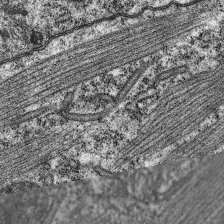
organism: C. elegans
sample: Pharynx